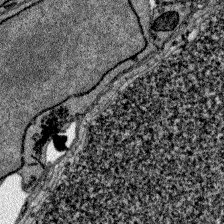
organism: Zebrafish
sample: Larval olfactory bulb